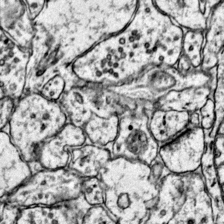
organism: Mouse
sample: Primary visual cortex